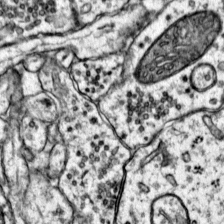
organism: Mouse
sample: Primary visual cortex